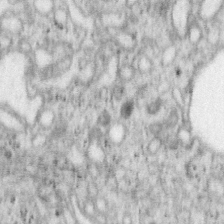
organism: Mouse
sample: OT-I killer T cells with ID8 ovarian cancer cells